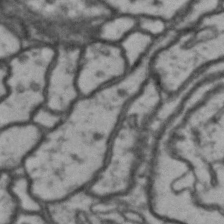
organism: Drosophila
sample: Brain